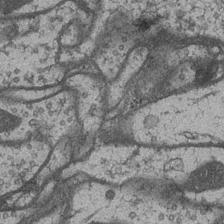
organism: Drosophila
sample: Optic medulla